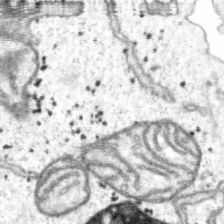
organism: Human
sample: HeLa cells